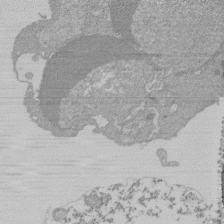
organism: Mouse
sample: Activated Pmel transgenic CD8+ T Cells